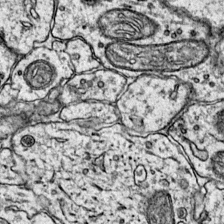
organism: Mouse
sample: Primary visual cortex